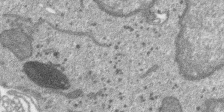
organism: Human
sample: Lung epithelial cells infected with SARS-CoV-2